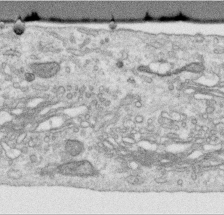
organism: Human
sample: Centriole in RPE cells